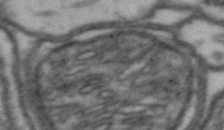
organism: Drosophila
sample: Brain